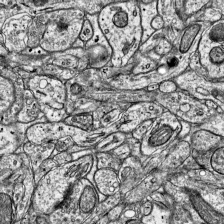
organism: Mouse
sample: Visual Cortex